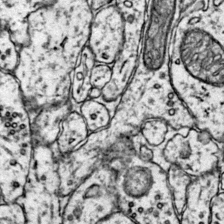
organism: Mouse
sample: Primary visual cortex